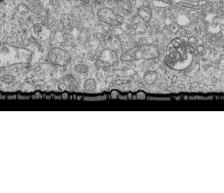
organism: Human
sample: HeLa cell HIV synapse